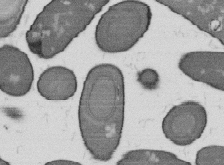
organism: B. subtilis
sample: Bacterial spore